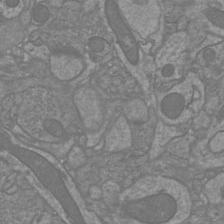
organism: Mouse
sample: Cortical neurons